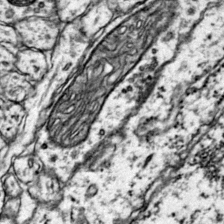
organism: Mouse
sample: Primary visual cortex